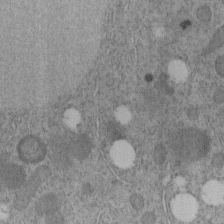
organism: C. elegans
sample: C. elegans embryo early stage